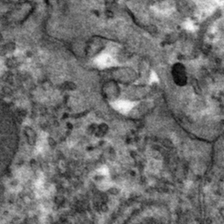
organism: Mouse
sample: Mouse hepatocytes